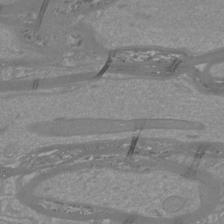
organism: Mouse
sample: Cortical neurons